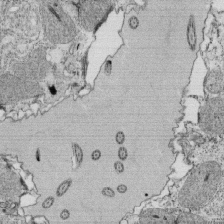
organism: Tetrahymena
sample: Cilia in tetrahymena